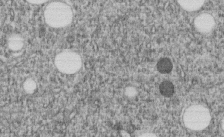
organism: C. elegans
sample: C. elegans embryo early stage